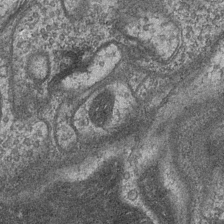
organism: Drosophila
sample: Optic medulla